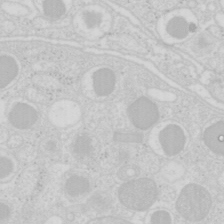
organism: Mouse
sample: Pancreas